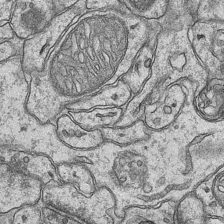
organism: Mouse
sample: CA1 Hippocampus